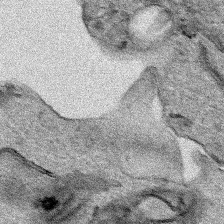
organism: Human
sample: Mitochondria in HCT116 cells